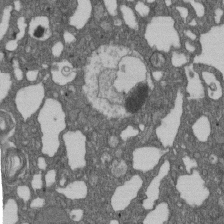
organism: Drosophila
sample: Nephrocyte